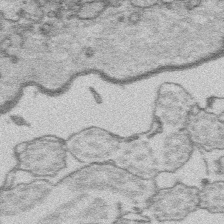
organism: Platynereis dumerilii